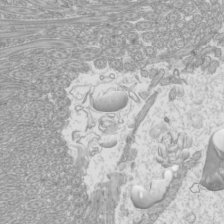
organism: Mouse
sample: Cilia; mouse epididymis